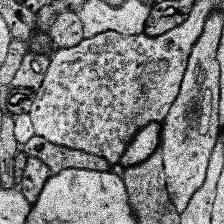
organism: Human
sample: Temporal Lobe